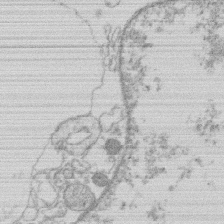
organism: Human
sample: Macrophage cells